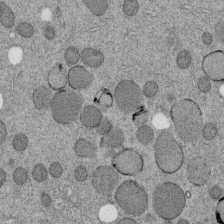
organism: C. elegans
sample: C. elegans embryo early stage